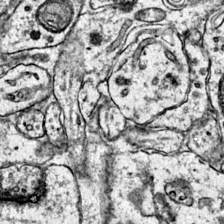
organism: Mouse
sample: Primary visual cortex